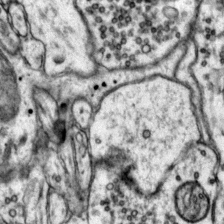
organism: Mouse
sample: Primary visual cortex